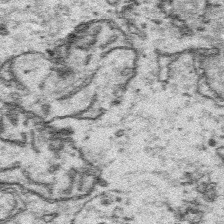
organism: Platynereis dumerilii